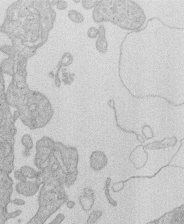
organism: Human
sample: Macrophage cells